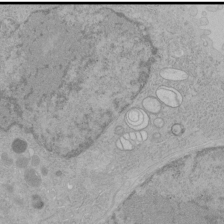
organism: Human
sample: Mitochondria in HCT116 cells